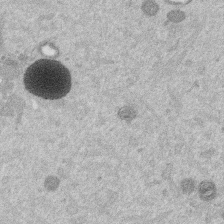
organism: Mouse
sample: Dividing mouse embryo 1 cell stage